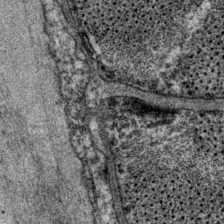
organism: P. pacificus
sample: Pharynx